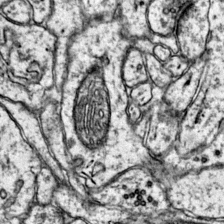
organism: Mouse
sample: Primary visual cortex